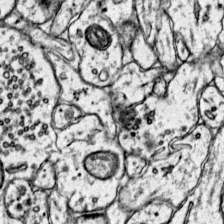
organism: Mouse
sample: Primary visual cortex